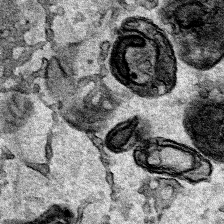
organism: Human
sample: Mitochondria in HCT116 cells